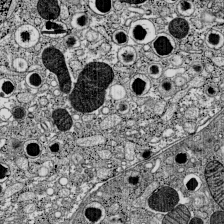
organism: C57BL Mouse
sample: Pancreatic islet